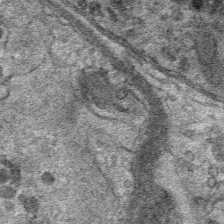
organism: Mouse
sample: Mouse Salivary gland